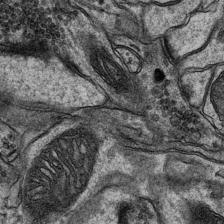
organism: Mouse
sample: CA1 Hippocampus